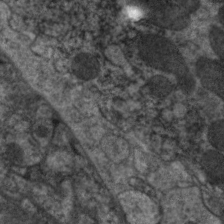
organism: C. elegans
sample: Pharynx